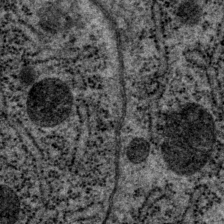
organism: P. pacificus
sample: Pharynx